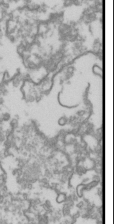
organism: Drosophila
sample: Cell division; meiosis; drosophila spermatocytes